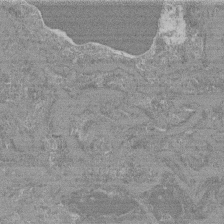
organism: Mouse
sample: Glomerulus